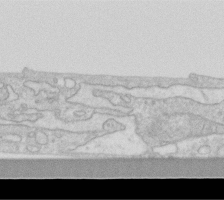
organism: Human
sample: Fibroblast cells